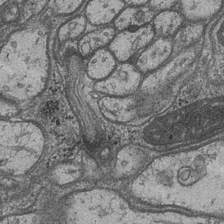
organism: Drosophila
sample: Optic medulla